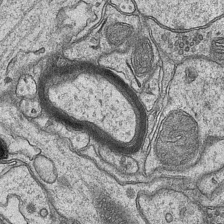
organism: Mouse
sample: CA1 Hippocampus